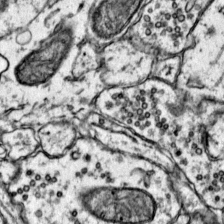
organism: Mouse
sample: Primary visual cortex